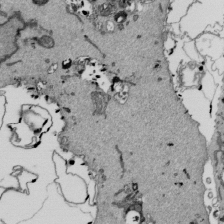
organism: Mouse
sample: ED-1 cell nuclei; centrioles